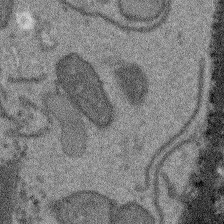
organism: Arabidopsis thaliana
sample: Root tip